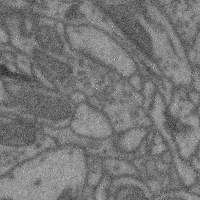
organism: Mouse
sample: Cerebral cortex